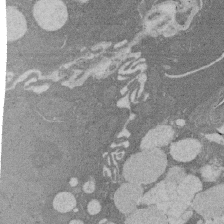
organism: Rat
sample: Salivary granule